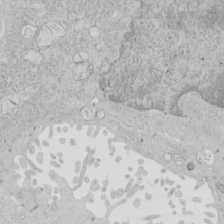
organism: Human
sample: Mitochondria in HCT116 cells